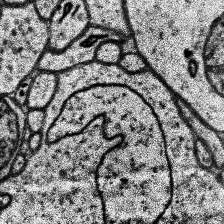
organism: Human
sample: Temporal Lobe